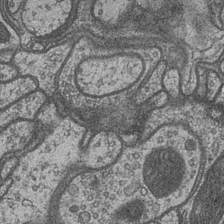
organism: Drosophila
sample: Optic medulla